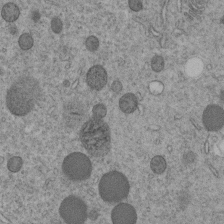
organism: C. elegans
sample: C. elegans embryo early stage